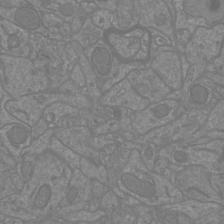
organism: Mouse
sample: Cortical neurons